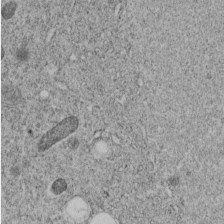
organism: C. elegans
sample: C. elegans embryo early stage